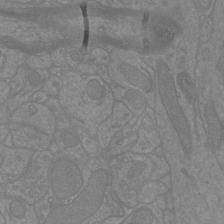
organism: Mouse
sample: Cortical neurons